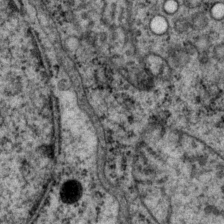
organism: P. pacificus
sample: Pharynx